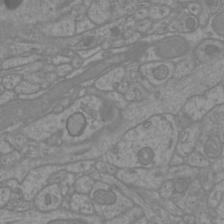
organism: Mouse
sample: Cortical neurons